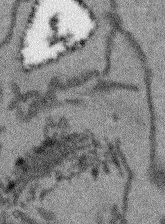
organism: Arabidopsis thaliana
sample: Root tip